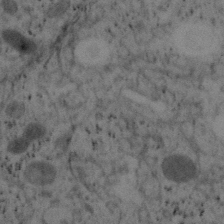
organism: Human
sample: HeLa cells